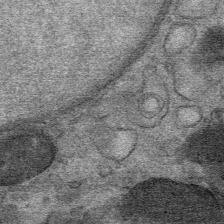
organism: Mouse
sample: Mouse Salivary gland